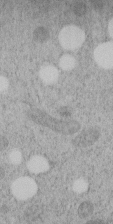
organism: C. elegans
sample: C. elegans embryo early stage